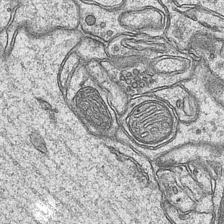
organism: Mouse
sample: CA1 Hippocampus